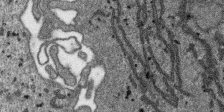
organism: Human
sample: Lung epithelial cells infected with SARS-CoV-2